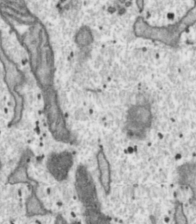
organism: Toxoplasma gondii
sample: Parasites in a vacuole inside a host cell